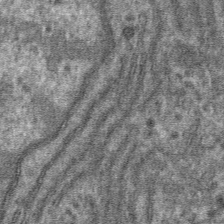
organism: Mouse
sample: Mouse hepatocytes